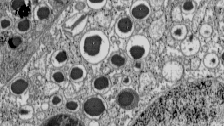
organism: C57BL Mouse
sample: Pancreatic islet